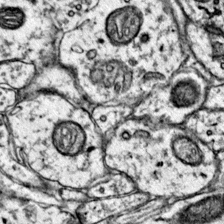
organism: Mouse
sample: Primary visual cortex